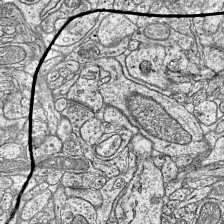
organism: Mouse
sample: Visual Cortex